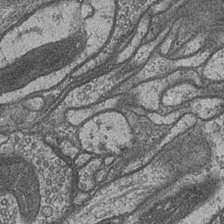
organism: Drosophila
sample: Optic medulla